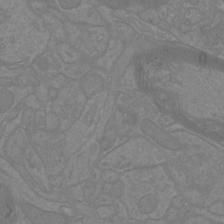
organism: Mouse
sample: Cortical neurons